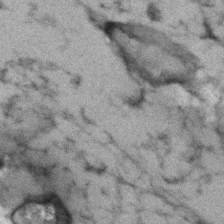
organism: Human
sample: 1205lu cells